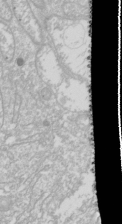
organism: Drosophila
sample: Cell division; meiosis; drosophila spermatocytes